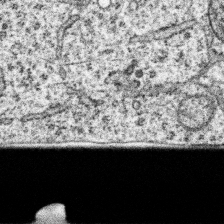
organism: Human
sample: HeLa cells